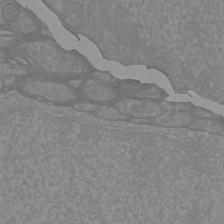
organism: Mouse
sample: Cortical neurons